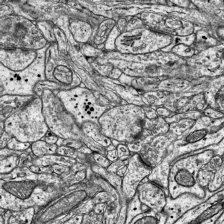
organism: Mouse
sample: Visual Cortex